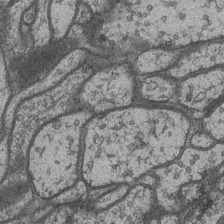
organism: Drosophila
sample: Optic medulla